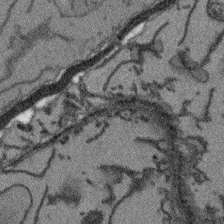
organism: Arabidopsis thaliana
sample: Root tip